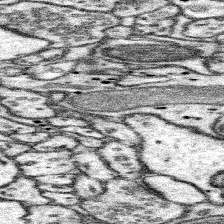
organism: Mouse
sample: Somatosensory cortex neuropil